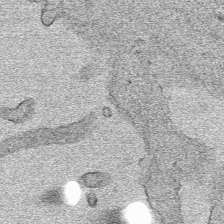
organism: Human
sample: Mitochondria in HCT116 cells